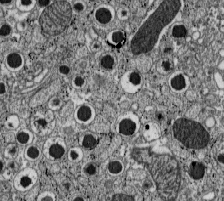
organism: C57BL Mouse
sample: Pancreatic islet